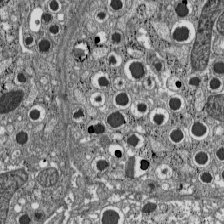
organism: C57BL Mouse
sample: Pancreatic islet